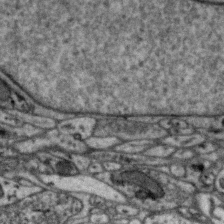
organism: Zebra finch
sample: Brain